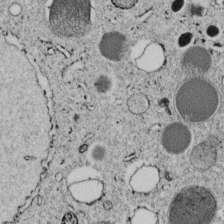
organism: C. elegans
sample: C. elegans embryo early stage